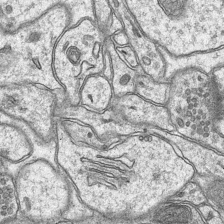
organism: Mouse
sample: CA1 Hippocampus